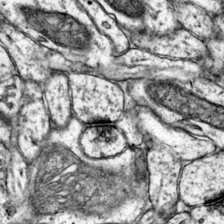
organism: Mouse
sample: Primary visual cortex